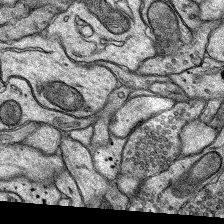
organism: Rat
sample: Hippocampus